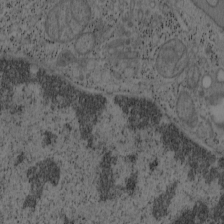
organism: Mouse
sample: OT-I killer T cells with ID8 ovarian cancer cells